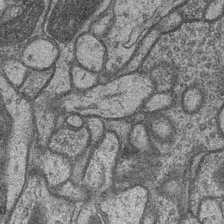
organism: Drosophila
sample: Optic medulla